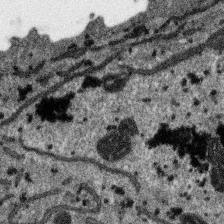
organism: Human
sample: Lung epithelial cells infected with SARS-CoV-2